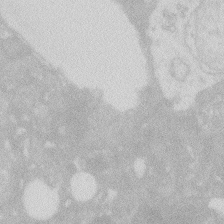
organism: Zebrafish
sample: Macrophage